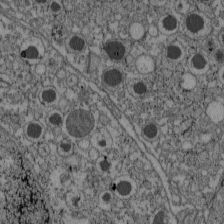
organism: C57BL Mouse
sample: Pancreatic islet